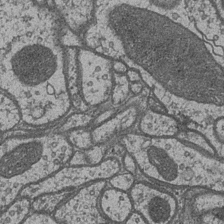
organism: Drosophila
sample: Optic medulla